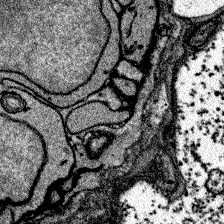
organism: Zebrafish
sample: Larval olfactory bulb